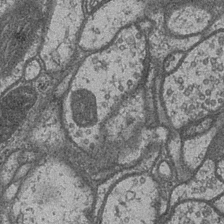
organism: Drosophila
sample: Optic medulla